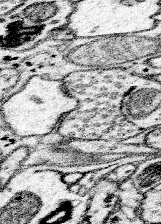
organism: Mouse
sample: Somatosensory cortex neuropil